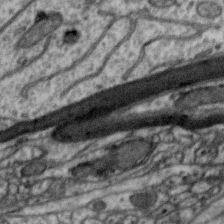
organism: Zebra finch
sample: Brain